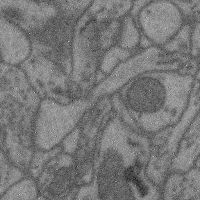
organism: Mouse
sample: Cerebral cortex